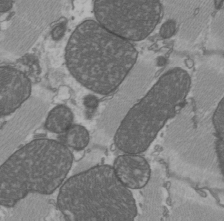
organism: C57BL Mouse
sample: Heart